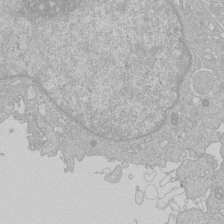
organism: Human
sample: Macrophage cells